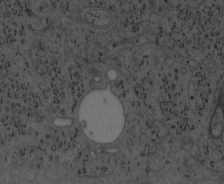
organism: Mouse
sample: OT-I killer T cells with ID8 ovarian cancer cells